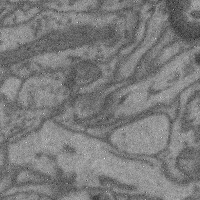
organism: Mouse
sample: Cerebral cortex